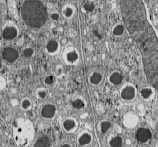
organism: C57BL Mouse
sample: Pancreatic islet